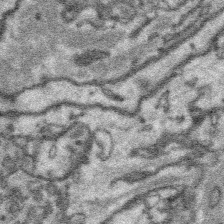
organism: Platynereis dumerilii